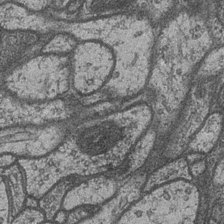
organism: Drosophila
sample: Optic medulla